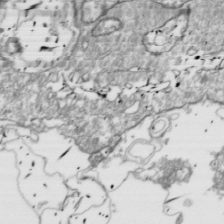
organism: Drosophila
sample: Cell division; meiosis; drosophila spermatocytes